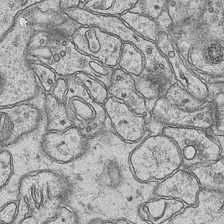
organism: Mouse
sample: CA1 Hippocampus